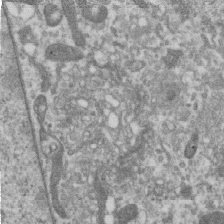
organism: Human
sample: Centriole in RPE cells